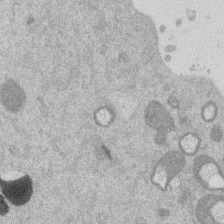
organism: Mouse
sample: Dividing mouse embryo 1 cell stage